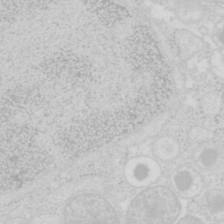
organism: Mouse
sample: Pancreas